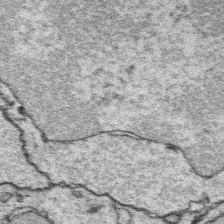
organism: Platynereis dumerilii